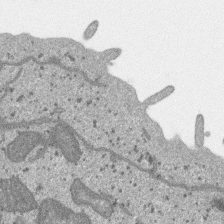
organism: Human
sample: Lung epithelial cells infected with SARS-CoV-2